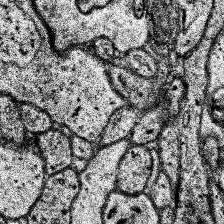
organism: Human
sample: Temporal Lobe